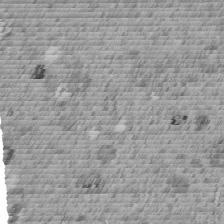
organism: C. elegans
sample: C. elegans embryo early stage